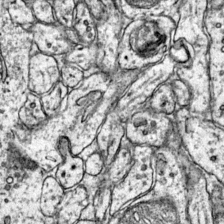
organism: Mouse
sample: Primary visual cortex